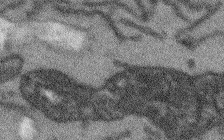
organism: Arabidopsis thaliana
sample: Root tip